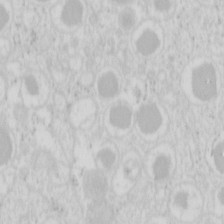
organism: Mouse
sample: Pancreas